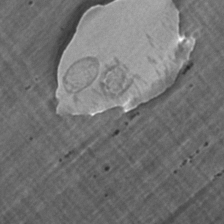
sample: Trachea